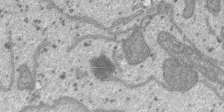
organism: Human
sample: Lung epithelial cells infected with SARS-CoV-2